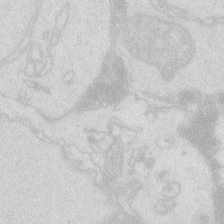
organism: Zebrafish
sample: Macrophage